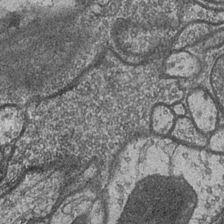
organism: Drosophila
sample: Optic medulla